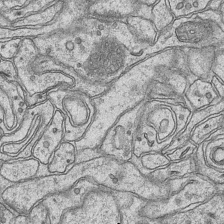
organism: Mouse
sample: CA1 Hippocampus